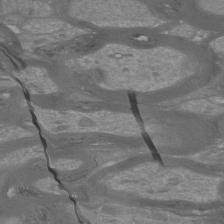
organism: Mouse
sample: Cortical neurons